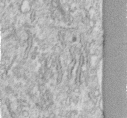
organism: Human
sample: Centriole in fibroblast cells